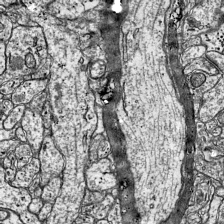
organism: Mouse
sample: Visual Cortex